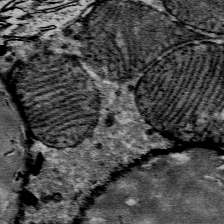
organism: Mouse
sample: Mouse Salivary gland